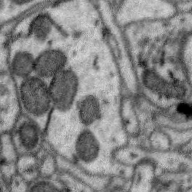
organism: Zebra finch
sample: Brain